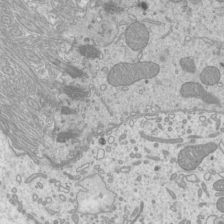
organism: Mouse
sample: Cilia; mouse epididymis